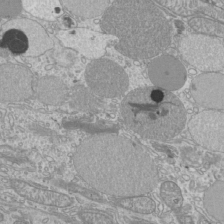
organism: Mouse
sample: Cilia; mouse epididymis